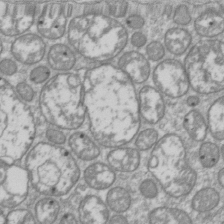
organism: Drosophila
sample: Cell division; meiosis; drosophila spermatocytes